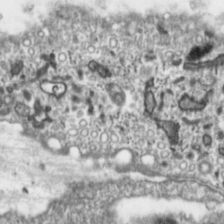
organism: Toxoplasma gondii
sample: Parasites in a vacuole inside a host cell